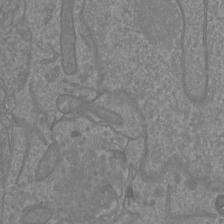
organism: Mouse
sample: Cortical neurons